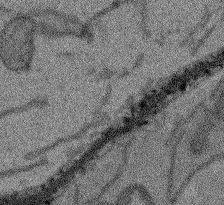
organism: Arabidopsis thaliana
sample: Root tip